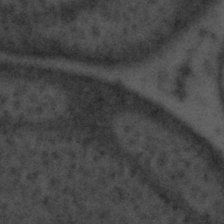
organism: Tuwongella immobilis